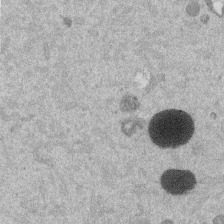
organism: Mouse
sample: Dividing mouse embryo 1 cell stage